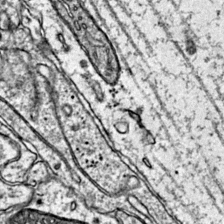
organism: Mouse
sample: Primary visual cortex